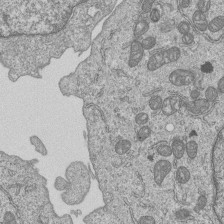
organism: Human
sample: MDA-MB-231 cells